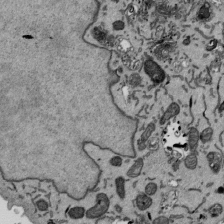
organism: Mouse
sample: ED-1 cell nuclei; centrioles